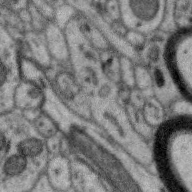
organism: Zebra finch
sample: Brain